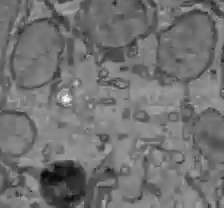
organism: C57BL Mouse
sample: Liver